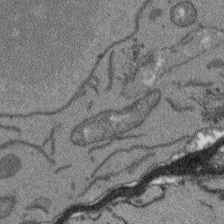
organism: Arabidopsis thaliana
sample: Root tip